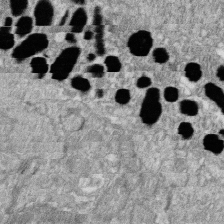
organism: Zebrafish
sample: Cilia; retinal pigment epithelium